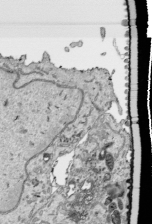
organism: Human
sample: Mitochondria in HCT116 cells